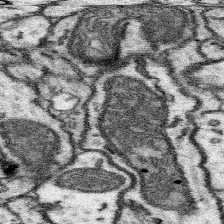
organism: Mouse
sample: Somatosensory cortex neuropil